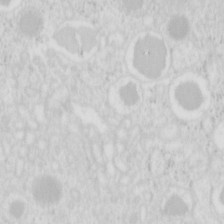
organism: Mouse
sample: Pancreas